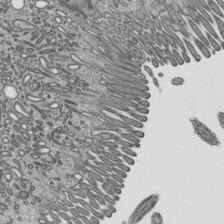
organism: Mouse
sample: Mouse epididymis efferent ductule cilia